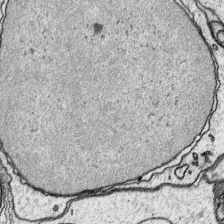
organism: Platynereis dumerilii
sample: Parapodia